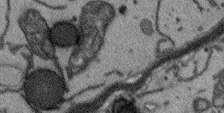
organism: Arabidopsis thaliana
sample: Root tip